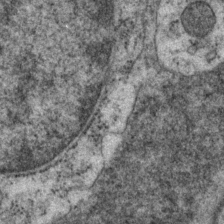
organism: P. pacificus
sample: Pharynx